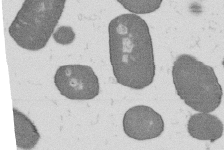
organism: B. subtilis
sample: Bacterial spore